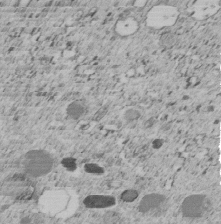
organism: C. elegans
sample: C. elegans embryo early stage